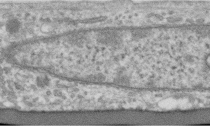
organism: Human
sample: Centriole in RPE cells